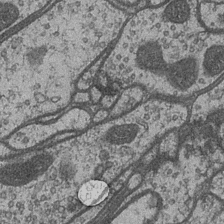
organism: Drosophila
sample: Optic medulla